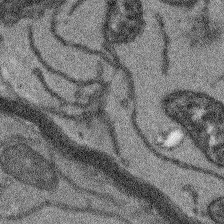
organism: Arabidopsis thaliana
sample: Root tip